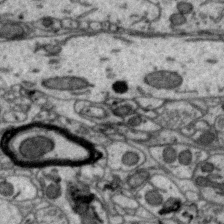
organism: Zebra finch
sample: Brain